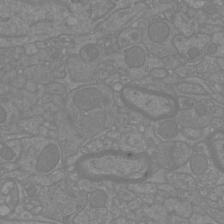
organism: Mouse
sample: Cortical neurons